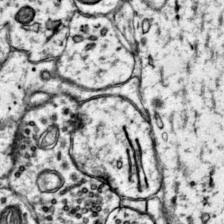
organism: Mouse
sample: Primary visual cortex